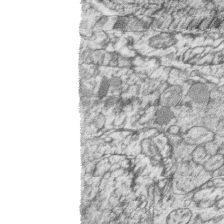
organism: Zebrafish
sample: synaptic ribbons in rod cells and cone cells